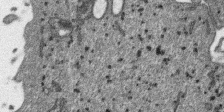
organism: Human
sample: Lung epithelial cells infected with SARS-CoV-2